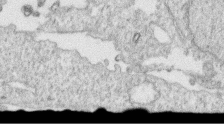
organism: Human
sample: HeLa cell HIV synapse